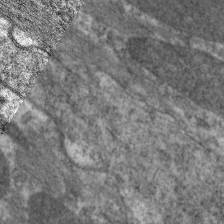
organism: C. elegans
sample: Pharynx